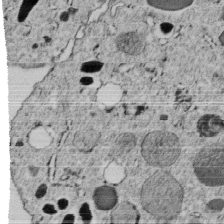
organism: C. elegans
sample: C. elegans embryo early stage